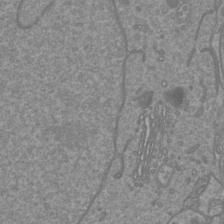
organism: Mouse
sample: Cortical neurons